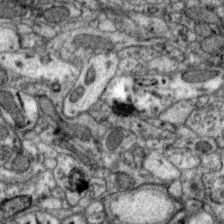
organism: Zebra finch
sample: Brain